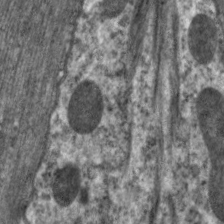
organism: C. elegans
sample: Pharynx